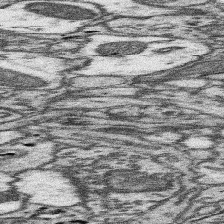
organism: Mouse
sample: Somatosensory cortex neuropil